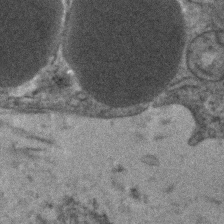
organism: Human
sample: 1205lu cells